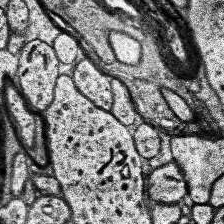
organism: Human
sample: Temporal Lobe